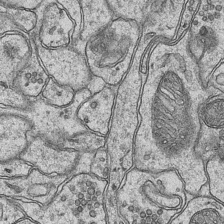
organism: Mouse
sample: CA1 Hippocampus